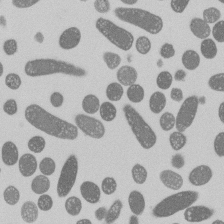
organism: E. coli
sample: Bacterial nucleoid